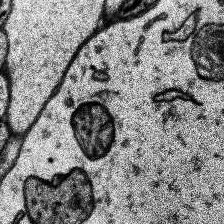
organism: Human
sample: Temporal Lobe